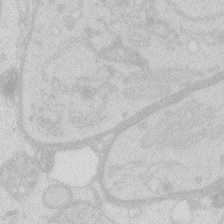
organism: Zebrafish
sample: Macrophage